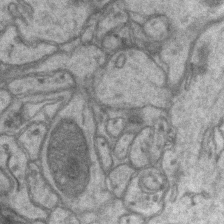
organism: Mouse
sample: CA1 Hippocampus